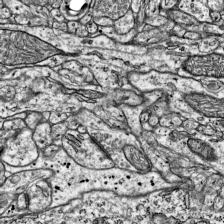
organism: Mouse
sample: Visual Cortex